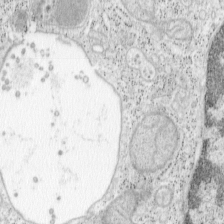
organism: Mouse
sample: OT-I killer T cells with ID8 ovarian cancer cells